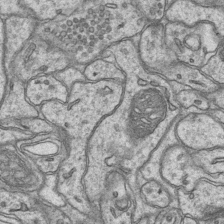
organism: Mouse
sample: CA1 Hippocampus